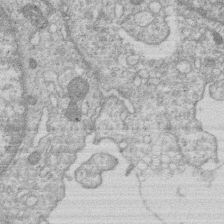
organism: Human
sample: Macrophage cells